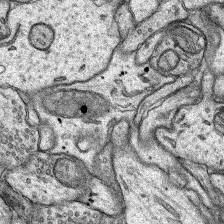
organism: Rat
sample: Hippocampus